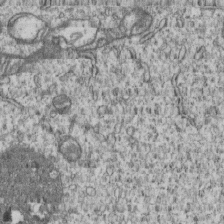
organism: Human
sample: MDA-MB-231 cells